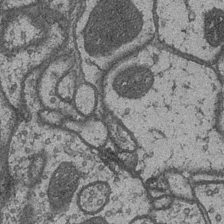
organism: Drosophila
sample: Optic medulla